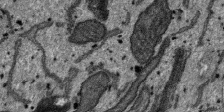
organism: Human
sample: Lung epithelial cells, uninfected (mock) control